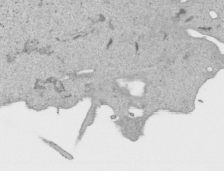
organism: Human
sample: Mitochondria in HCT116 cells